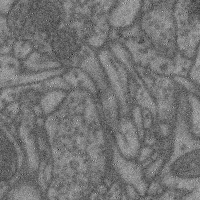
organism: Mouse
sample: Cerebral cortex